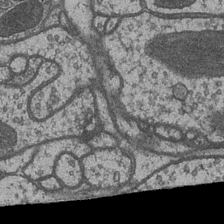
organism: Drosophila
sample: Optic medulla